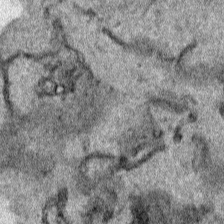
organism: Human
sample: Mitochondria in HCT116 cells